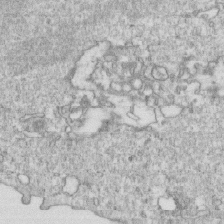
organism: Mouse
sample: Activated OT-1 CD8+ T cells